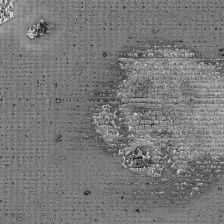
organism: Mouse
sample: Activated Pmel transgenic CD8+ T Cells